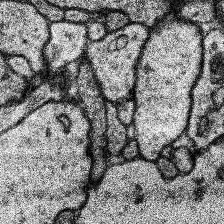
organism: Human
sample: Temporal Lobe